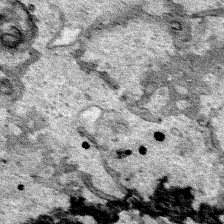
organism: Human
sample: Mitochondria in HCT116 cells